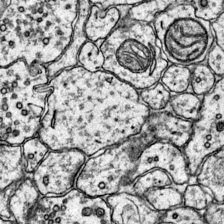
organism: Mouse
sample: Primary visual cortex